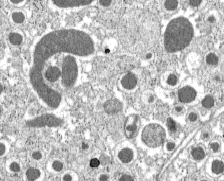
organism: C57BL Mouse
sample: Pancreatic islet